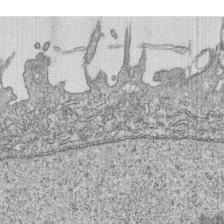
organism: Human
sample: HeLa cell HIV synapse